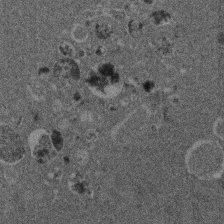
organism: Mouse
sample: Dividing mouse embryo 1 cell stage